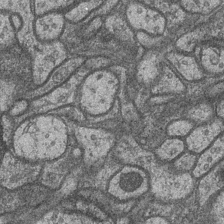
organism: Drosophila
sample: Optic medulla